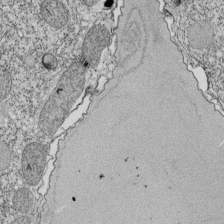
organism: Tetrahymena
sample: Cilia in tetrahymena